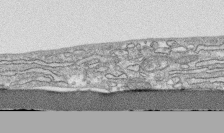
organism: Human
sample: CRL-1474